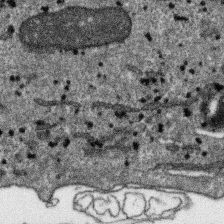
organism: Human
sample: Lung epithelial cells infected with SARS-CoV-2